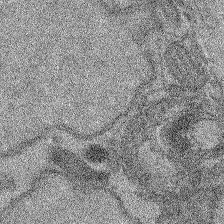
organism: Human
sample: HeLa cells